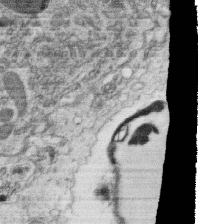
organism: C. elegans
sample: C. elegans oocyte; sperm cells